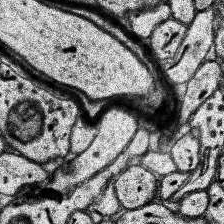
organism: Human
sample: Temporal Lobe